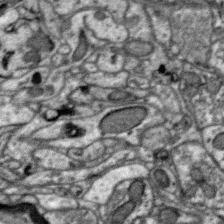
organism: Zebra finch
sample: Brain